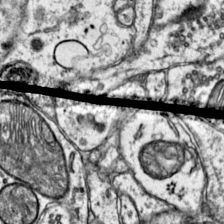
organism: Mouse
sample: Primary visual cortex